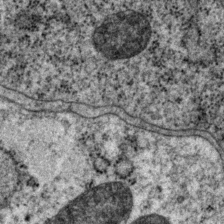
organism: P. pacificus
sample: Pharynx